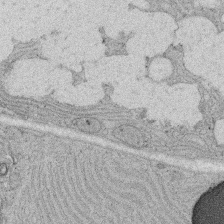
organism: Rat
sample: Salivary granule